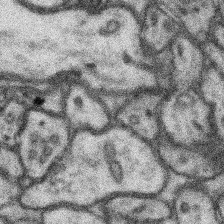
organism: Mouse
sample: Somatosensory cortex neuropil